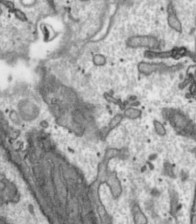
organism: Toxoplasma gondii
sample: Parasites in a vacuole inside a host cell